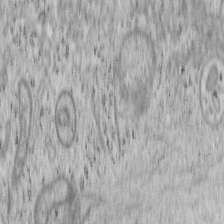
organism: Human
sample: HeLa cells